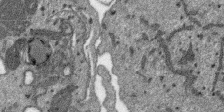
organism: Human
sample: Lung epithelial cells infected with SARS-CoV-2